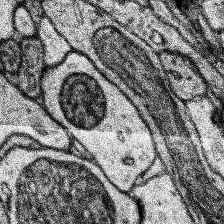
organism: Human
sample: Temporal Lobe